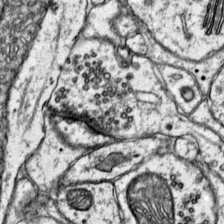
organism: Mouse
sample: Primary visual cortex